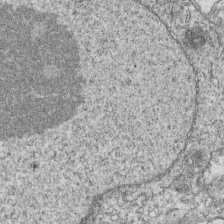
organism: Human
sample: HeLa cell HIV synapse